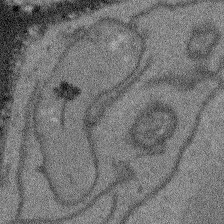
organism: Arabidopsis thaliana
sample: Root tip